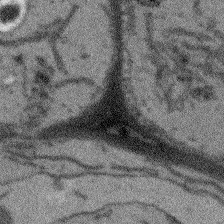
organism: Arabidopsis thaliana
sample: Root tip